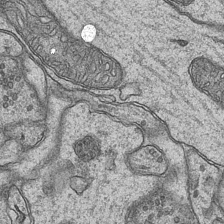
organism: Mouse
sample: CA1 Hippocampus